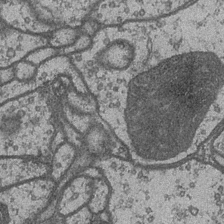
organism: Drosophila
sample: Optic medulla